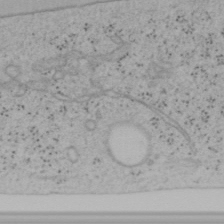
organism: Human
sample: HeLa cells